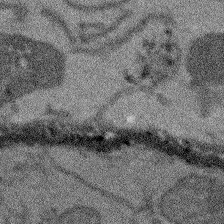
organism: Arabidopsis thaliana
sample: Root tip